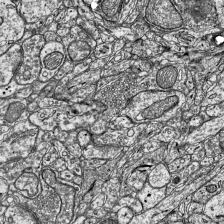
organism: Mouse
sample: Visual Cortex